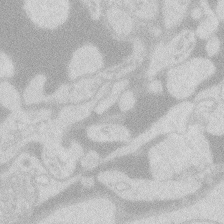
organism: Zebrafish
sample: Macrophage